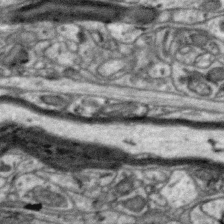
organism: Zebra finch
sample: Brain